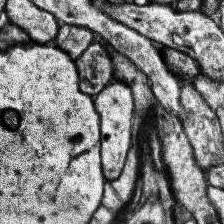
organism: Human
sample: Temporal Lobe